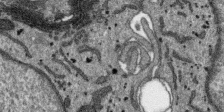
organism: Human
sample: Lung epithelial cells, uninfected (mock) control